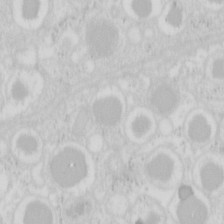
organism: Mouse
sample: Pancreas